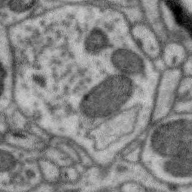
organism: Zebra finch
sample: Brain